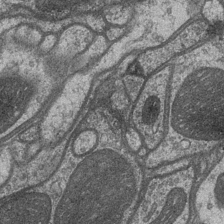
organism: Drosophila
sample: Optic medulla